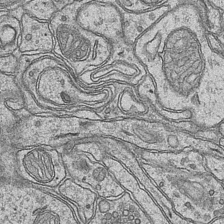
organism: Mouse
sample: CA1 Hippocampus